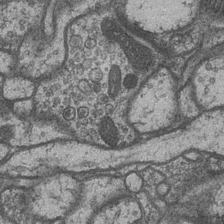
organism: Drosophila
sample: Optic medulla